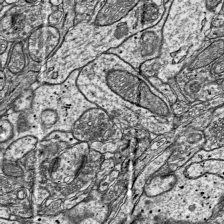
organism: Mouse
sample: Visual Cortex